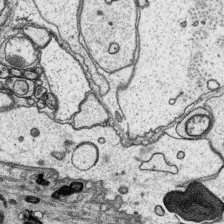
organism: Platynereis dumerilii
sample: Parapodia